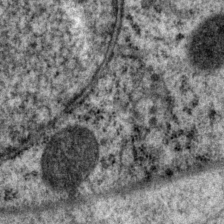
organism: P. pacificus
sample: Pharynx